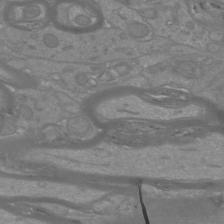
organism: Mouse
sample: Cortical neurons